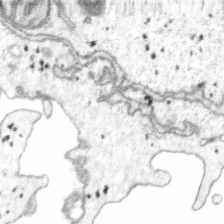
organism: Human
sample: HeLa cells